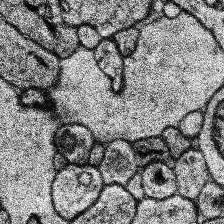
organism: Human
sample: Temporal Lobe